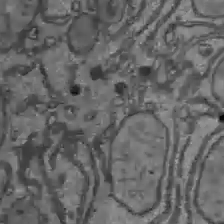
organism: C57BL Mouse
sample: Liver